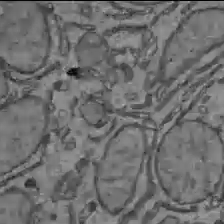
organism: C57BL Mouse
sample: Liver